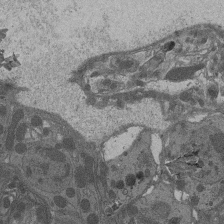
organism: Drosophila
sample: Antenna